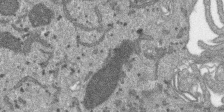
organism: Human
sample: Lung epithelial cells infected with SARS-CoV-2